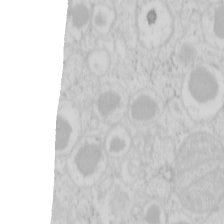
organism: Mouse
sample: Pancreas